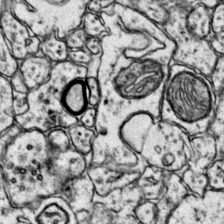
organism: Mouse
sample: Primary visual cortex